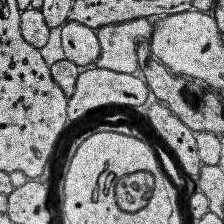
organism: Human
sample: Temporal Lobe